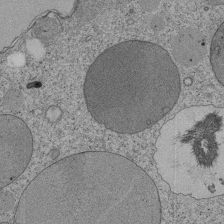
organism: Tetrahymena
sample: Cilia in tetrahymena